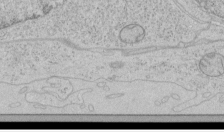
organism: Human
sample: Mitochondria in HCT116 cells